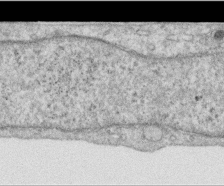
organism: Human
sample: Centriole in RPE cells